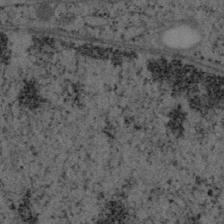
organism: Human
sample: HeLa cells